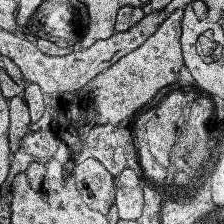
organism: Human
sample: Temporal Lobe